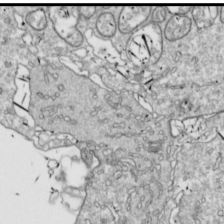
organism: Drosophila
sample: Cell division; meiosis; drosophila spermatocytes